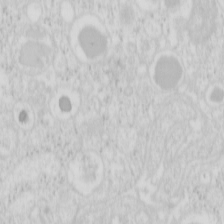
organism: Mouse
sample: Pancreas